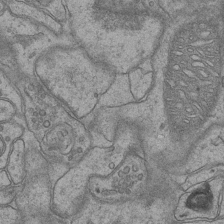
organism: Mouse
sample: CA1 Hippocampus